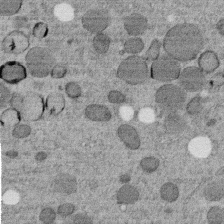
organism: C. elegans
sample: C. elegans embryo early stage